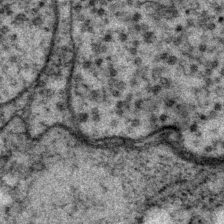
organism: P. pacificus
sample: Pharynx